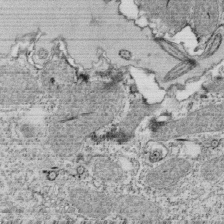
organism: Tetrahymena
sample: Cilia in tetrahymena